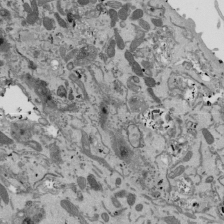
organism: Mouse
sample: ED-1 cell nuclei; centrioles